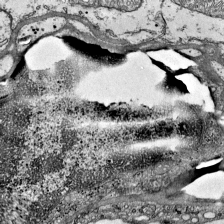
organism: Mouse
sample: Visual Cortex